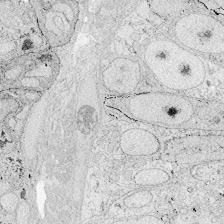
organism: Zebrafish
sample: Whole-Brain